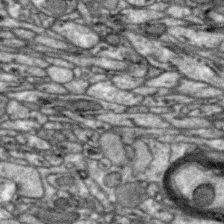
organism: Zebra finch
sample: Brain